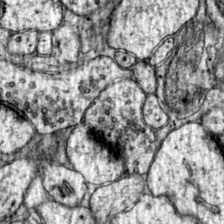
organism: Mouse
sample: Primary visual cortex